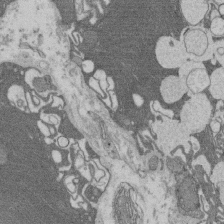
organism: Rat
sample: Salivary granule